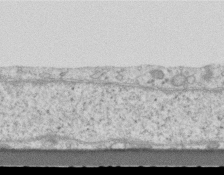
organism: Mouse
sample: Centriole in ependymal cells